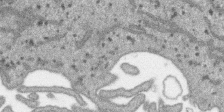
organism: Human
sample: Lung epithelial cells infected with SARS-CoV-2